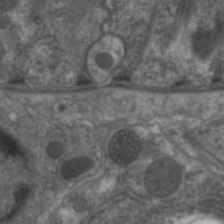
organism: C. elegans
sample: Pharynx